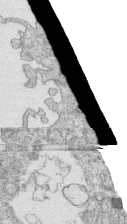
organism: Human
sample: HeLa cell HIV synapse